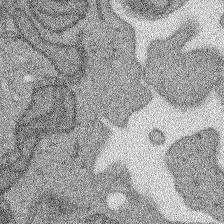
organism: Human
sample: HeLa cells